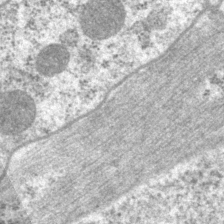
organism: P. pacificus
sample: Pharynx